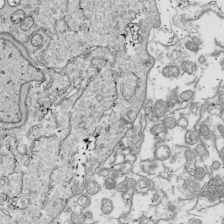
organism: Drosophila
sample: Cell division; meiosis; drosophila spermatocytes